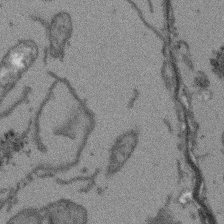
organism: Arabidopsis thaliana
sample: Root tip